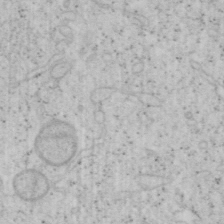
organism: Human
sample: HeLa cells